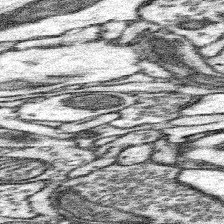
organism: Mouse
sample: Somatosensory cortex neuropil